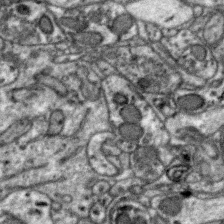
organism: Zebra finch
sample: Brain